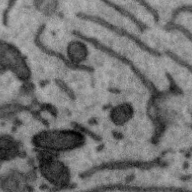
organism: Zebra finch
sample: Brain